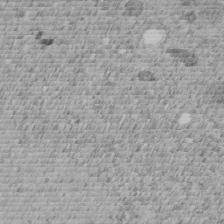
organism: C. elegans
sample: C. elegans embryo early stage